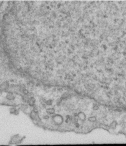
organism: Human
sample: Centriole in RPE cells